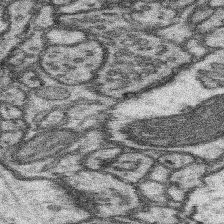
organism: Mouse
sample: Somatosensory cortex neuropil